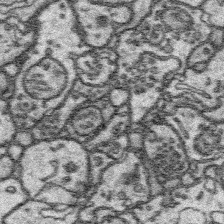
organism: Platynereis dumerilii